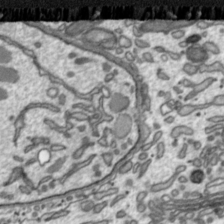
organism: Toxoplasma gondii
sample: Parasites in a vacuole inside a host cell